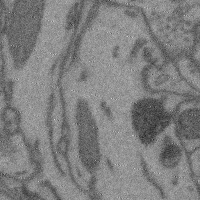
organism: Mouse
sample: Cerebral cortex